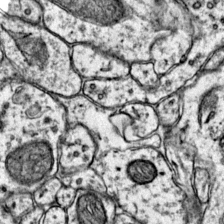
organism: Mouse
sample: Primary visual cortex